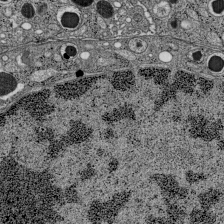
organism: C57BL Mouse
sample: Pancreatic islet